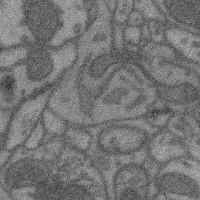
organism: Mouse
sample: Cerebral cortex